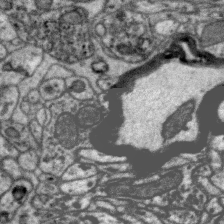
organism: Zebra finch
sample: Brain